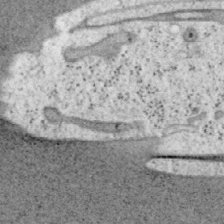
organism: Mouse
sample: OT-I killer T cells with ID8 ovarian cancer cells